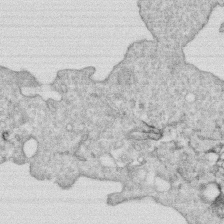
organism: Human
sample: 1205lu cells